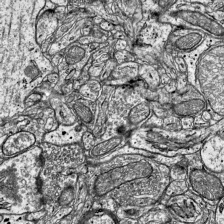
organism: Mouse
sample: Visual Cortex